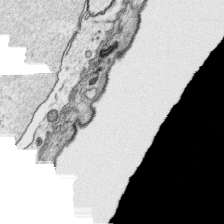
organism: Platynereis dumerilii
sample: Parapodia